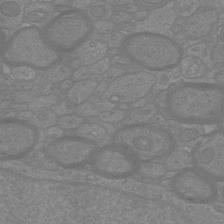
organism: Mouse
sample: Cortical neurons